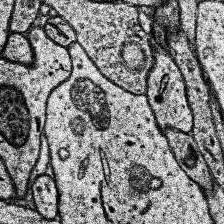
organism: Human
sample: Temporal Lobe